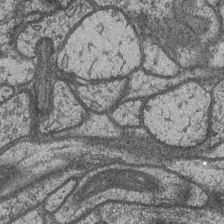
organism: Drosophila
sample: Optic medulla